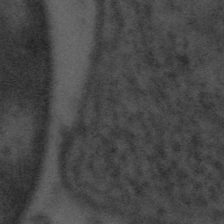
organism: Tuwongella immobilis